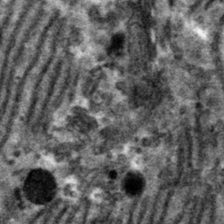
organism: Mouse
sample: Mouse hepatocytes